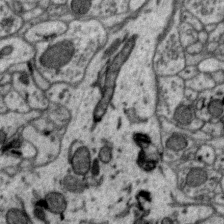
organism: Zebra finch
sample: Brain